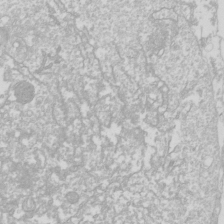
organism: Drosophila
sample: Cell division; meiosis; drosophila spermatocytes